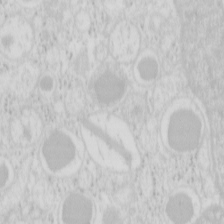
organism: Mouse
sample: Pancreas